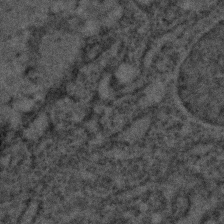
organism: C. elegans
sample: C. elegans embryo